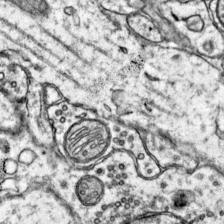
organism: Mouse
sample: Primary visual cortex